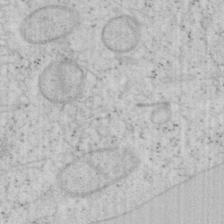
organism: Human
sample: HeLa cells